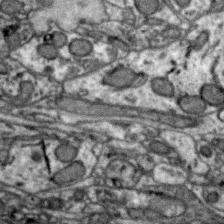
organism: Zebra finch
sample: Brain